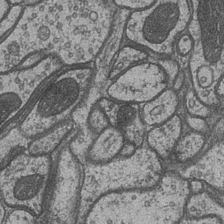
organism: Drosophila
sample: Optic medulla